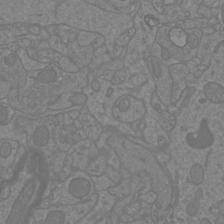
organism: Mouse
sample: Cortical neurons